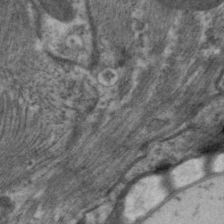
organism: C. elegans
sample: Pharynx